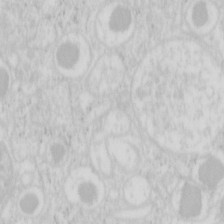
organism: Mouse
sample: Pancreas